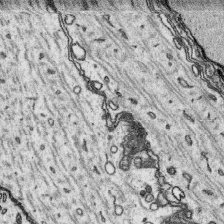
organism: Platynereis dumerilii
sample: Parapodia